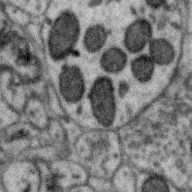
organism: Zebra finch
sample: Brain